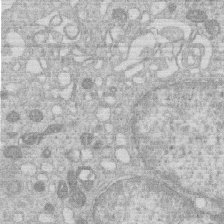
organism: Human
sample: Macrophage cells